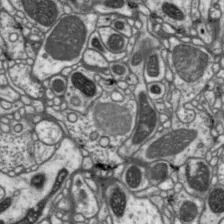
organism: Drosophila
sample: Protocerebral bridge